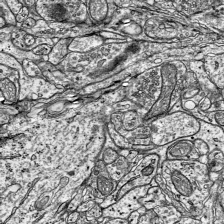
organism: Mouse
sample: Visual Cortex